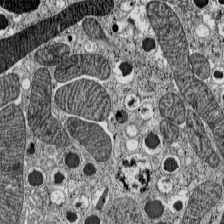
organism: C57BL Mouse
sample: Pancreatic islet